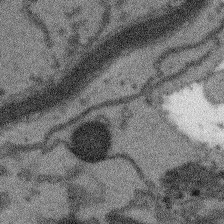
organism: Arabidopsis thaliana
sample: Root tip